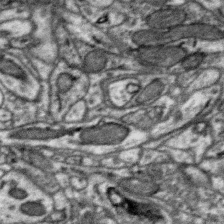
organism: Zebra finch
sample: Brain